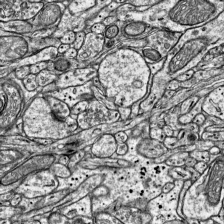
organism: Mouse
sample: Visual Cortex